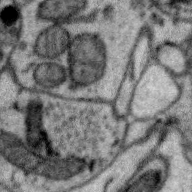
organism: Zebra finch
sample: Brain